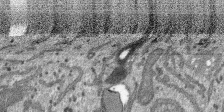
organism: Human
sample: Lung epithelial cells infected with SARS-CoV-2